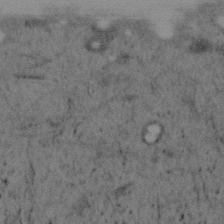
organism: Human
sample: HeLa cells